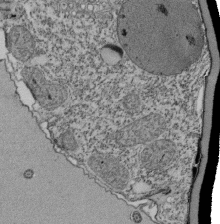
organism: Tetrahymena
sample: Cilia in tetrahymena